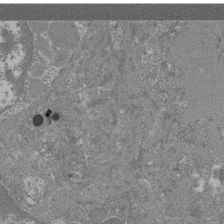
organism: Mouse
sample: Glomerulus